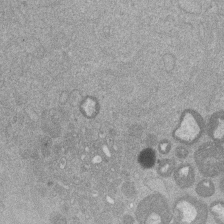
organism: Mouse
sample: Dividing mouse embryo 1 cell stage